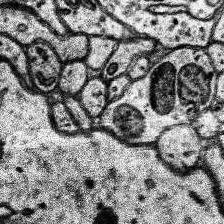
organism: Human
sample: Temporal Lobe